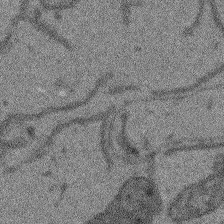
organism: Arabidopsis thaliana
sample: Root tip